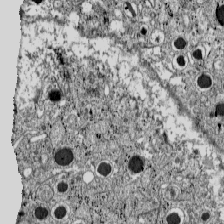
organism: C57BL Mouse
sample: Pancreatic islet